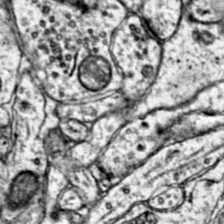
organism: Mouse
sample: Primary visual cortex